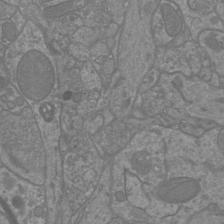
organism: Mouse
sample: Cortical neurons